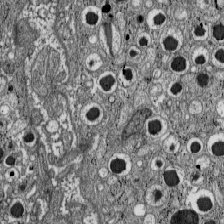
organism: C57BL Mouse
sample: Pancreatic islet